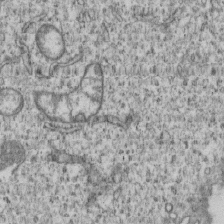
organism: Human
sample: MDA-MB-231 cells